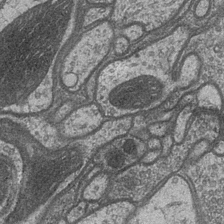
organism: Drosophila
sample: Optic medulla